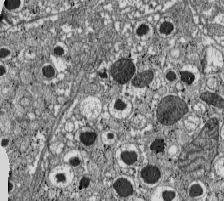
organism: C57BL Mouse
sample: Pancreatic islet